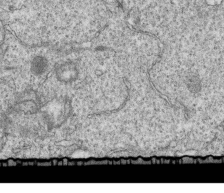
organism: Human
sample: HeLa cell HIV synapse